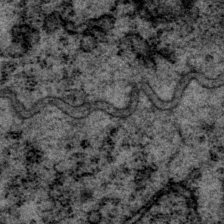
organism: P. pacificus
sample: Pharynx